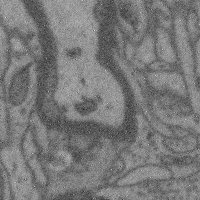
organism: Mouse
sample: Cerebral cortex